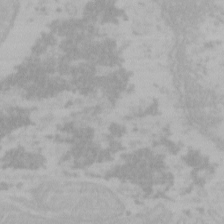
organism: Mouse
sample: Choroid plexus